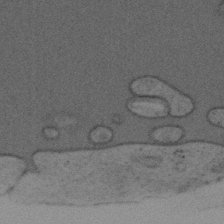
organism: Human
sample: HeLa cells